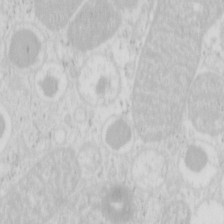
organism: Mouse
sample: Pancreas